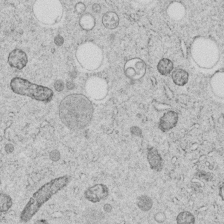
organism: C. elegans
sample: C. elegans embryo early stage